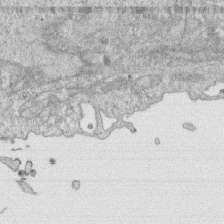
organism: Human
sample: HeLa cell HIV synapse